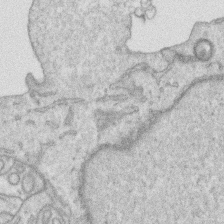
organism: Human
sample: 1205lu cells